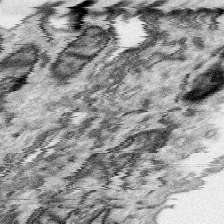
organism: Human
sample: HeLa cells